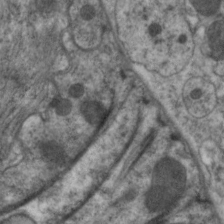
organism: C. elegans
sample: Pharynx